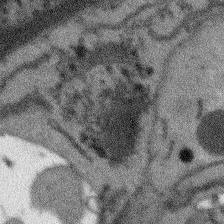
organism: Arabidopsis thaliana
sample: Root tip